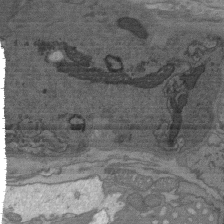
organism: C. elegans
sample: AFD neurons C. elegans